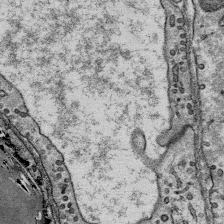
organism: Mouse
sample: Mouse Salivary gland